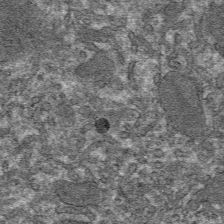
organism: Mouse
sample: Mouse hepatocytes